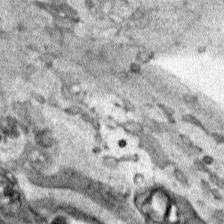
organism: Human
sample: Mitochondria in HCT116 cells